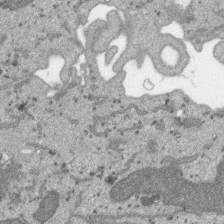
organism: Human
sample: Lung epithelial cells infected with SARS-CoV-2